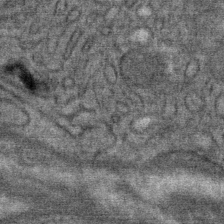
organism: Mouse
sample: Mouse Salivary gland